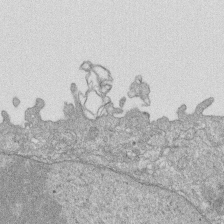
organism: Human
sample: HeLa cell HIV synapse